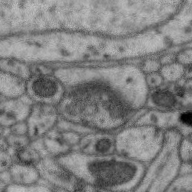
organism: Zebra finch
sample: Brain